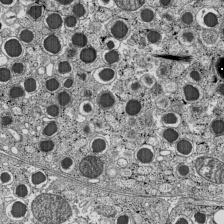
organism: C57BL Mouse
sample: Pancreatic islet